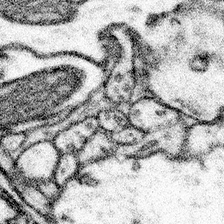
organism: Mouse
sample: Somatosensory cortex neuropil